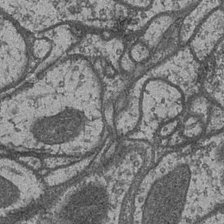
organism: Drosophila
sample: Optic medulla